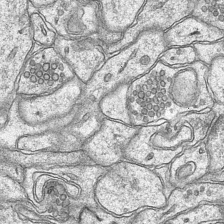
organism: Mouse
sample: CA1 Hippocampus